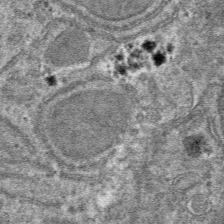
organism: Mouse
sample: Mouse hepatocytes